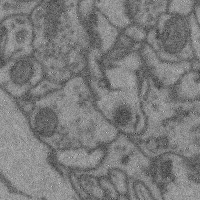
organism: Mouse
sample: Cerebral cortex